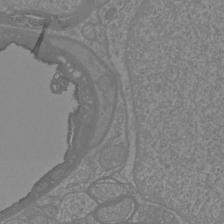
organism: Mouse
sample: Cortical neurons